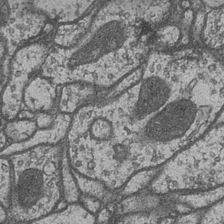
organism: Drosophila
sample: Optic medulla